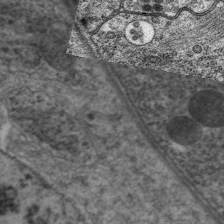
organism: C. elegans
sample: Pharynx